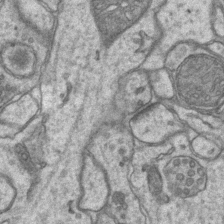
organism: Mouse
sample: CA1 Hippocampus